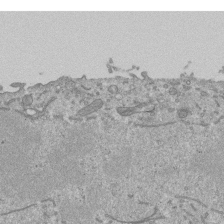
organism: Mouse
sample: ED-1 cell nuclei; centrioles